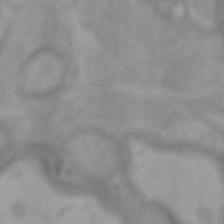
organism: Mouse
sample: Cortical neurons